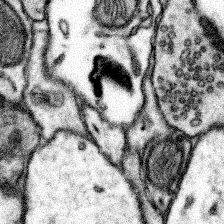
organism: Mouse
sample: Somatosensory cortex neuropil